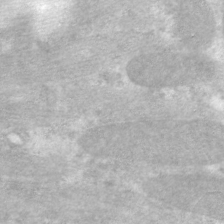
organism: C. elegans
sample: Pharynx